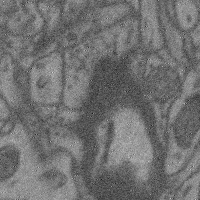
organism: Mouse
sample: Cerebral cortex